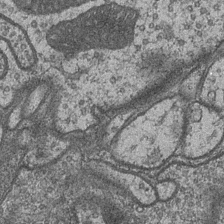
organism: Drosophila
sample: Optic medulla